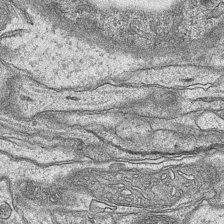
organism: Mouse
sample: CA1 Hippocampus